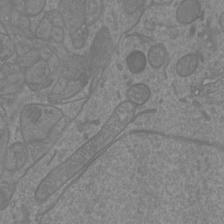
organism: Mouse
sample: Cortical neurons